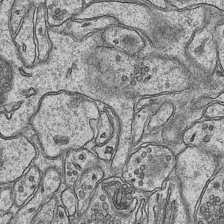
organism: Mouse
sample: CA1 Hippocampus